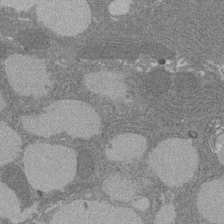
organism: Rat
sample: Salivary granule